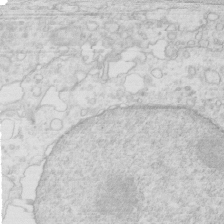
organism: Mouse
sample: Multiciliated cells